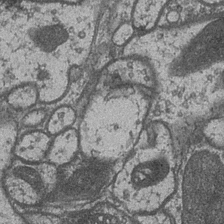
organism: Drosophila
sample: Optic medulla